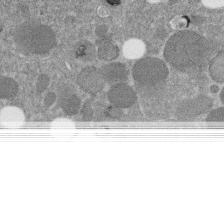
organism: C. elegans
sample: C. elegans embryo early stage